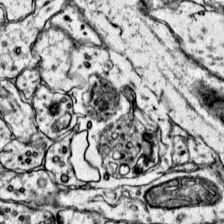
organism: Mouse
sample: Primary visual cortex